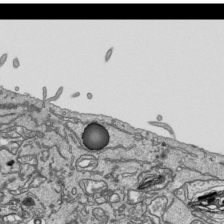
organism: Human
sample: Mitochondria in HCT116 cells